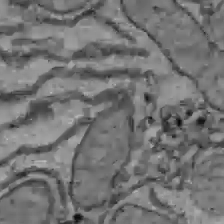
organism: C57BL Mouse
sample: Liver